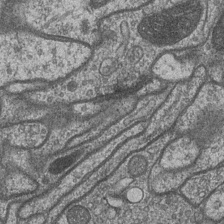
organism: Drosophila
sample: Optic medulla